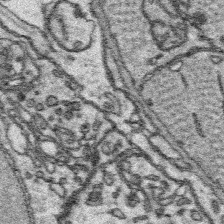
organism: Platynereis dumerilii